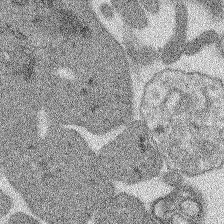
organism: Human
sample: HeLa cells